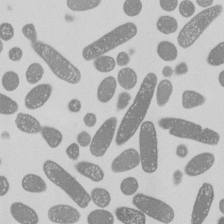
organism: E. coli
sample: Bacterial nucleoid